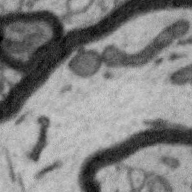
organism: Zebra finch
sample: Brain